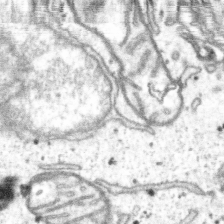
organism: Human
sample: HeLa cells